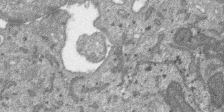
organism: Human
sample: Lung epithelial cells infected with SARS-CoV-2